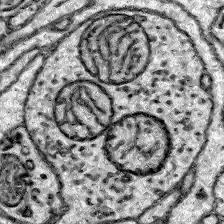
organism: Zebrafish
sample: Brain